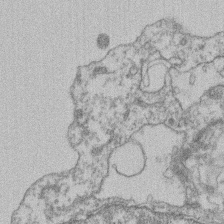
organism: Mouse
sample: T cell stromal cell synapse